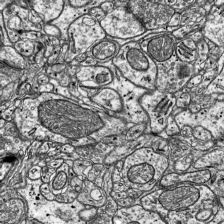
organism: Mouse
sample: Visual Cortex